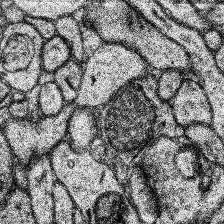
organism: Human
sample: Temporal Lobe